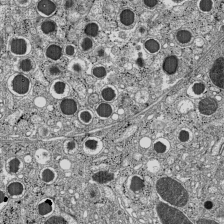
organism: C57BL Mouse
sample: Pancreatic islet